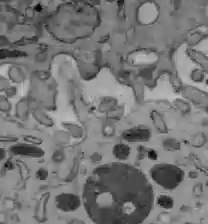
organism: C57BL Mouse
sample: Liver